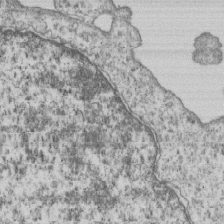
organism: Human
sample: MDA-MB-231 cells